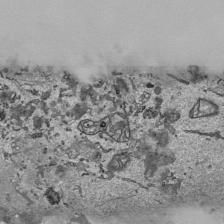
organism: Human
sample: Mitochondria in HCT116 cells